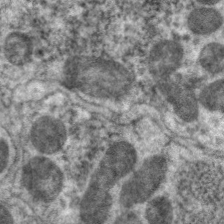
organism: C. elegans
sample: Pharynx